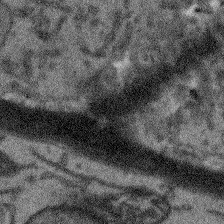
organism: Arabidopsis thaliana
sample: Root tip